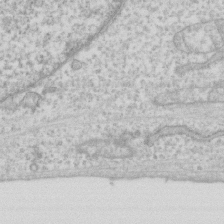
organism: Human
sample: Fibroblast cells